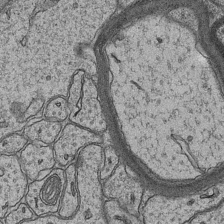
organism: Mouse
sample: CA1 Hippocampus